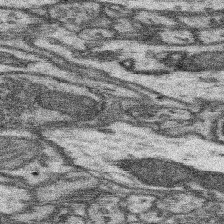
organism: Mouse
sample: Somatosensory cortex neuropil